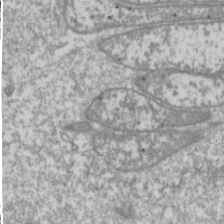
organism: Drosophila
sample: Cell division; meiosis; drosophila spermatocytes